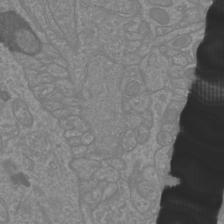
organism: Mouse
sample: Cortical neurons